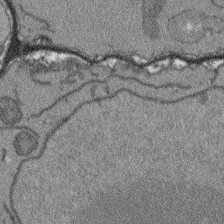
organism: Arabidopsis thaliana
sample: Root tip